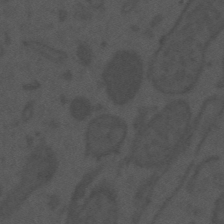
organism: Mouse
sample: Suprachiasmatic nucleus